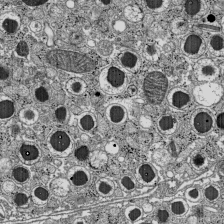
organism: C57BL Mouse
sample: Pancreatic islet